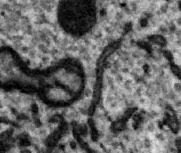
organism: Human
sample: HeLa cells